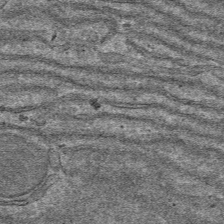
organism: Mouse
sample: Mouse hepatocytes